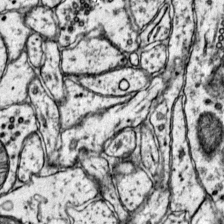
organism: Mouse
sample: Primary visual cortex